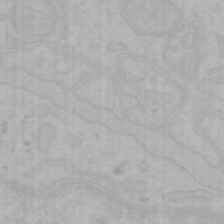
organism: Mouse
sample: Choroid plexus